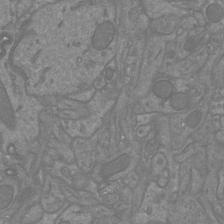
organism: Mouse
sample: Cortical neurons